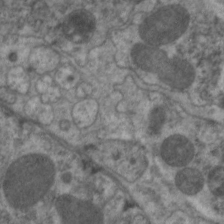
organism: C. elegans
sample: Pharynx